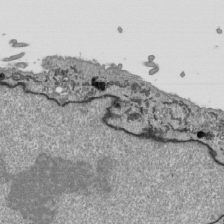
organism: Human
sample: Mitochondria in HCT116 cells